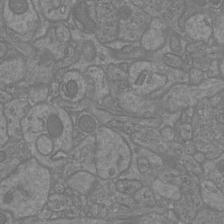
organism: Mouse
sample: Cortical neurons